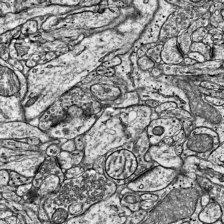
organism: Mouse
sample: Visual Cortex